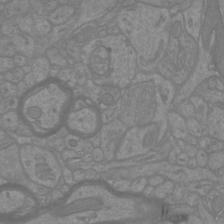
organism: Mouse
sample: Cortical neurons